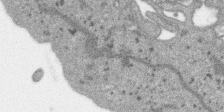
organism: Human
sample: Lung epithelial cells infected with SARS-CoV-2